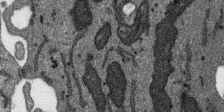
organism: Human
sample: Lung epithelial cells infected with SARS-CoV-2